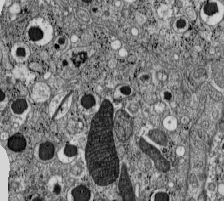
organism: C57BL Mouse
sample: Pancreatic islet